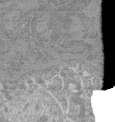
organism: Mouse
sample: Glomerulus